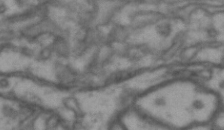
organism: Drosophila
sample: Brain